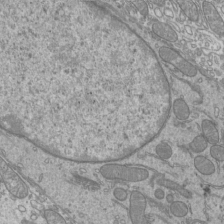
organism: Mouse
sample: Cilia; mouse epididymis